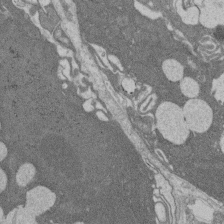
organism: Rat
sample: Salivary granule